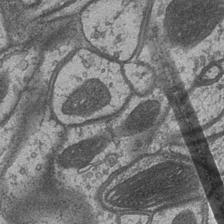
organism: Drosophila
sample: Optic medulla